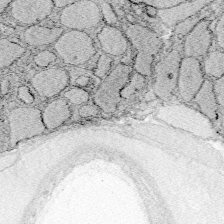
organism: Zebrafish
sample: Whole-Brain